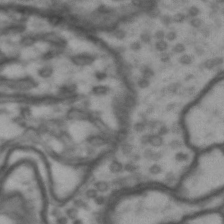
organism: Drosophila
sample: Brain